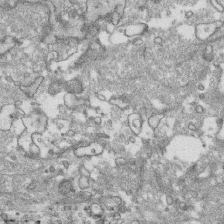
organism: Human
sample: CRL-1474